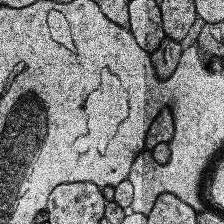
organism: Human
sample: Temporal Lobe